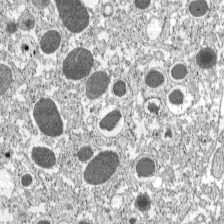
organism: C57BL Mouse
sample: Pancreatic islet